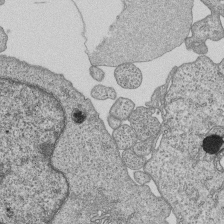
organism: Human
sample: MDA-MB-231 cells